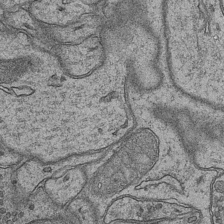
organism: Mouse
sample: CA1 Hippocampus